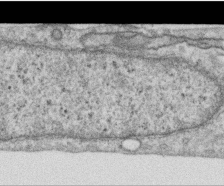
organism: Human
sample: Centriole in RPE cells